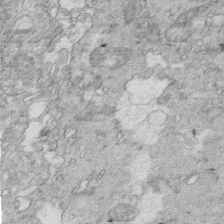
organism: Mouse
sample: Multiciliated cells